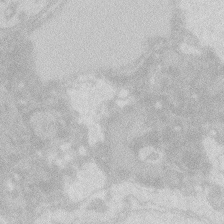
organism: Zebrafish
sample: Macrophage